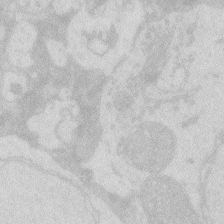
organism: Zebrafish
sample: Macrophage